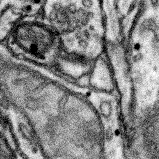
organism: Mouse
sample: Somatosensory cortex neuropil